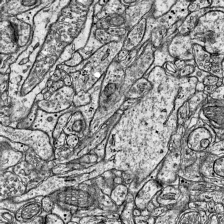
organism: Mouse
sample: Visual Cortex